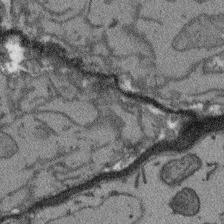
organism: Arabidopsis thaliana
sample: Root tip